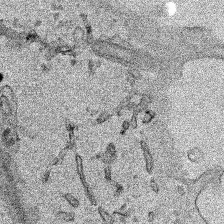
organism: Human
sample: Mitochondria in HCT116 cells